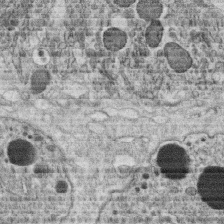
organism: C. elegans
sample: C. elegans oocyte; sperm cells